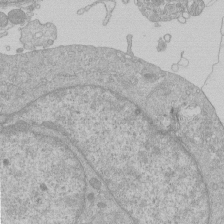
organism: Human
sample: Macrophage cells